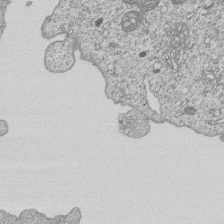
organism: Human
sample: MDA-MB-231 cells